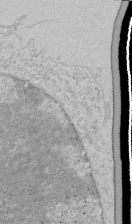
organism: Human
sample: Mitochondria in HCT116 cells